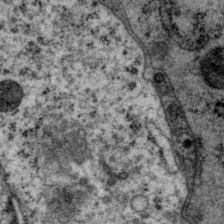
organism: P. pacificus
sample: Pharynx